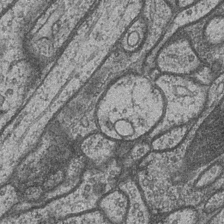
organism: Drosophila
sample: Optic medulla